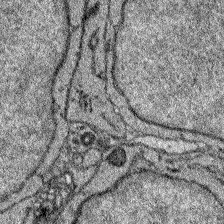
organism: Zebrafish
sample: Larval olfactory bulb